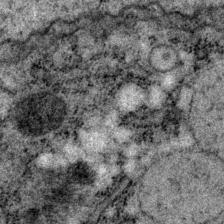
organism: P. pacificus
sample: Pharynx